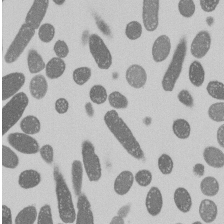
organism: E. coli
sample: Bacterial nucleoid